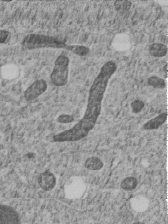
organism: C. elegans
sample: C. elegans embryo early stage